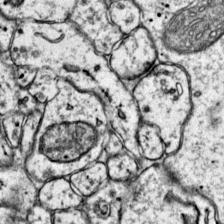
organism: Mouse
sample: Primary visual cortex